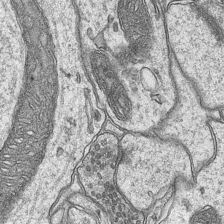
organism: Mouse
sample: CA1 Hippocampus